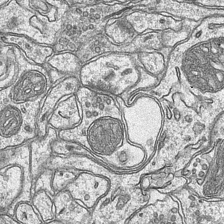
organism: Mouse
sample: CA1 Hippocampus